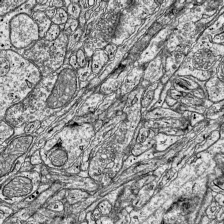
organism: Mouse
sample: Visual Cortex